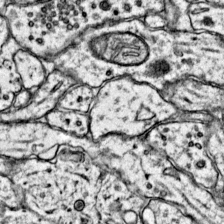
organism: Mouse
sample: Primary visual cortex